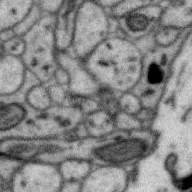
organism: Zebra finch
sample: Brain